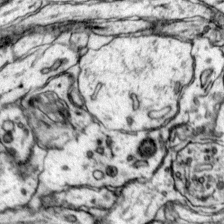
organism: Mouse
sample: Primary visual cortex